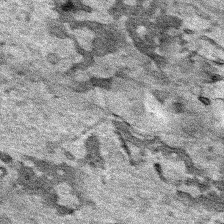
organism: Human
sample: Mitochondria in HCT116 cells